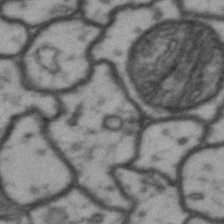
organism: Drosophila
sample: Brain